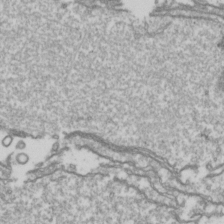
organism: Drosophila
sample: Cell division; meiosis; drosophila spermatocytes